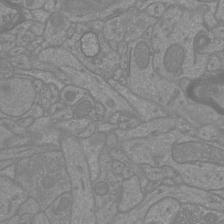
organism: Mouse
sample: Cortical neurons